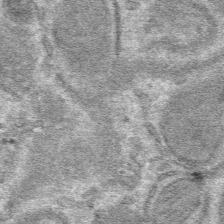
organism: Mouse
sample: Mouse hepatocytes